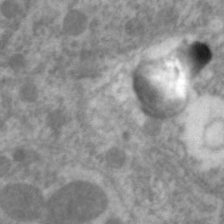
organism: C. elegans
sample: Pharynx